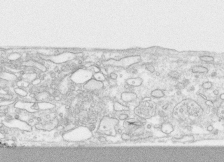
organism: Human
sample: CRL-1474